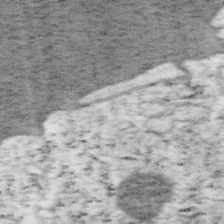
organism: Mouse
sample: OT-I killer T cells with ID8 ovarian cancer cells